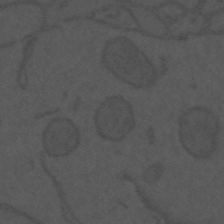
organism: Mouse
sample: Suprachiasmatic nucleus